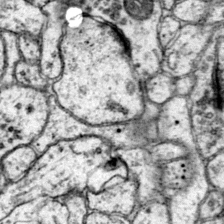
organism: Mouse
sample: Primary visual cortex